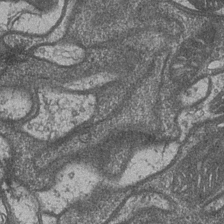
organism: Drosophila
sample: Optic medulla